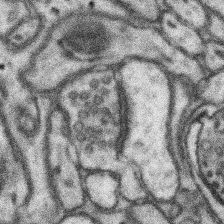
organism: Mouse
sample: Somatosensory cortex neuropil